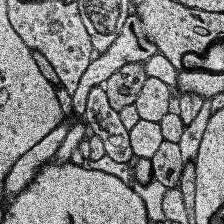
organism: Human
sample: Temporal Lobe